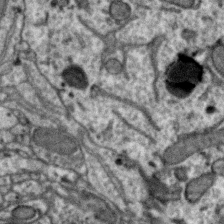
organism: Zebra finch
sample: Brain